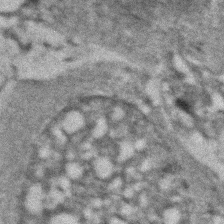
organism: Zebrafish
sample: Zebrafish embryo